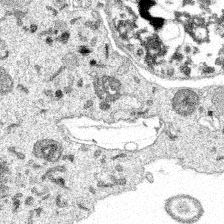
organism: Spongilla lacustris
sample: Multiple